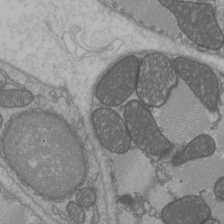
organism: C57BL Mouse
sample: Heart